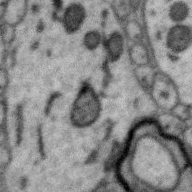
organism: Zebra finch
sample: Brain